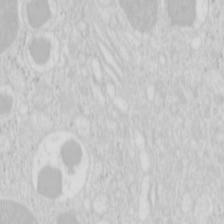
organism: Mouse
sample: Pancreas